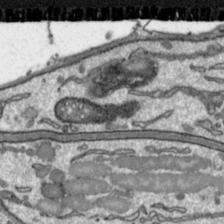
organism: Toxoplasma gondii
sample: Parasites in a vacuole inside a host cell